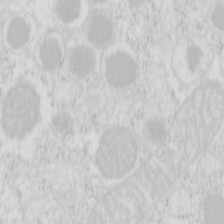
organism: Mouse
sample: Pancreas